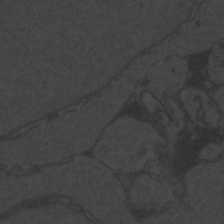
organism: Zebrafish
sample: Macrophage infected with Toxoplasma gondii